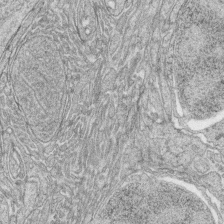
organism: Zebrafish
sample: synaptic ribbons in rod cells and cone cells